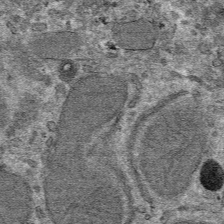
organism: Mouse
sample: Mouse hepatocytes